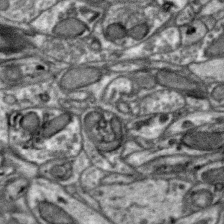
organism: Zebra finch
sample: Brain